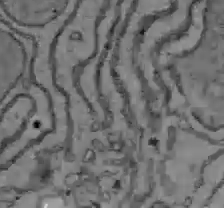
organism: C57BL Mouse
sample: Liver